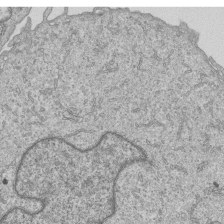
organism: Human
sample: MDA-MB-231 cells